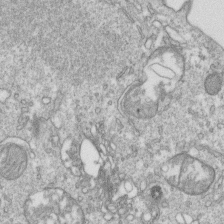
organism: Mouse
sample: Activated OT-1 CD8+ T cells